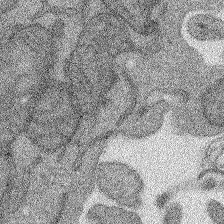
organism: Human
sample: HeLa cells